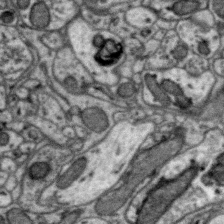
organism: Zebra finch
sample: Brain